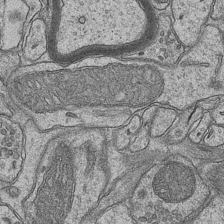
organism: Mouse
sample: CA1 Hippocampus